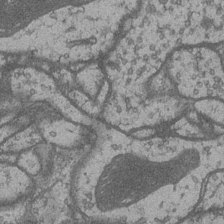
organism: Drosophila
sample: Optic medulla